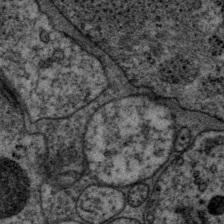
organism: P. pacificus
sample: Pharynx